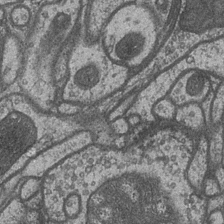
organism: Drosophila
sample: Optic medulla